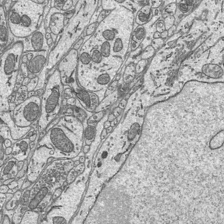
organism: Mouse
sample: Suprachiasmatic nucleus